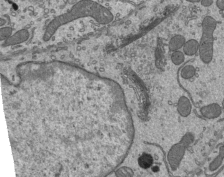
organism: Mouse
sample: Mouse epididymis efferent ductule cilia